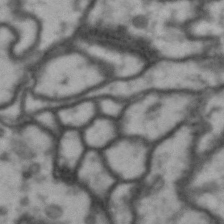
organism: Drosophila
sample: Brain